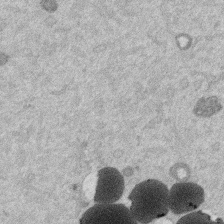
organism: Mouse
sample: Dividing mouse embryo 1 cell stage